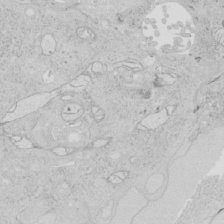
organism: Human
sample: Mitochondria in HCT116 cells